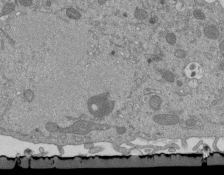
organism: Mouse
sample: ED-1 cell nuclei; centrioles